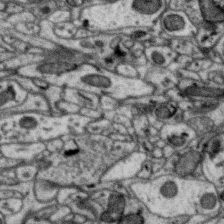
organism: Zebra finch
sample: Brain